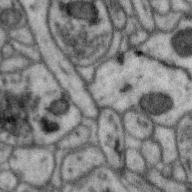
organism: Zebra finch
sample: Brain